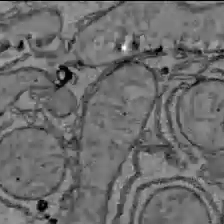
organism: C57BL Mouse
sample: Liver